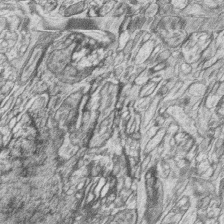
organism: Zebrafish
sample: synaptic ribbons in rod cells and cone cells